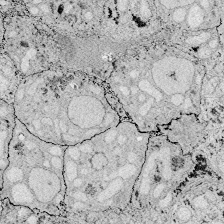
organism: Zebrafish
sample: Whole-Brain